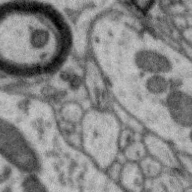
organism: Zebra finch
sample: Brain